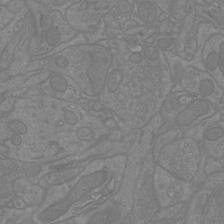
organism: Mouse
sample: Cortical neurons